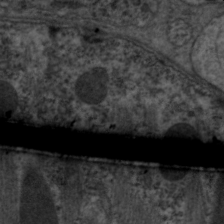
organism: C. elegans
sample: Pharynx